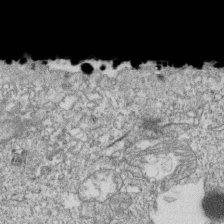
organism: Human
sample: HeLa cell HIV synapse